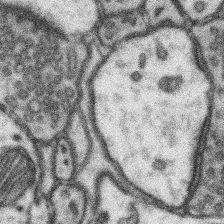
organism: Mouse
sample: Somatosensory cortex neuropil